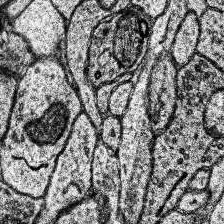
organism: Human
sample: Temporal Lobe